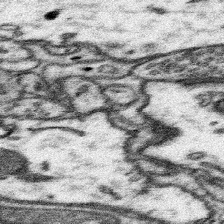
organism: Mouse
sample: Somatosensory cortex neuropil